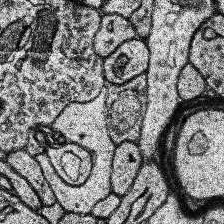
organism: Human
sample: Temporal Lobe